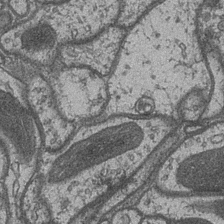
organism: Drosophila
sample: Optic medulla